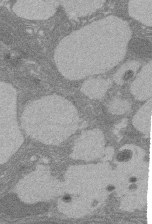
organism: Rat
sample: Salivary granule